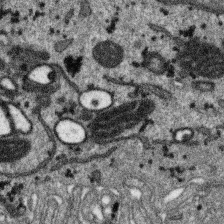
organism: Human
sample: Lung epithelial cells infected with SARS-CoV-2